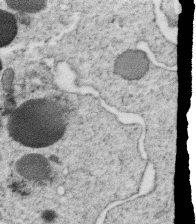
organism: C. elegans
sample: C. elegans oocyte; sperm cells